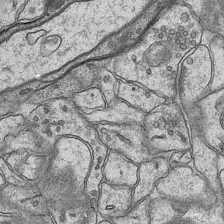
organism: Mouse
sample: CA1 Hippocampus